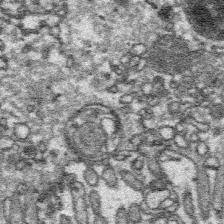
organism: Platynereis dumerilii